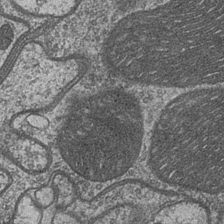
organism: Drosophila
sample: Optic medulla